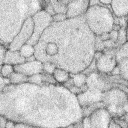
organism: Rabbit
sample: Retina